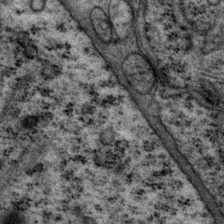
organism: P. pacificus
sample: Pharynx